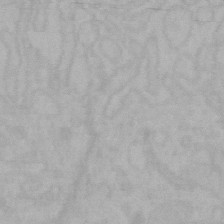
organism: Mouse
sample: Choroid plexus